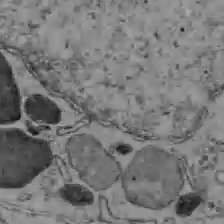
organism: C57BL Mouse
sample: Liver